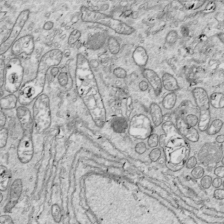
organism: Drosophila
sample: Cell division; meiosis; drosophila spermatocytes